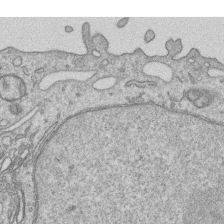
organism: Human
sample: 1205lu cells